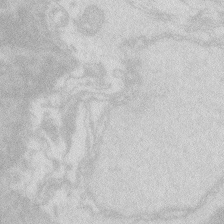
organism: Zebrafish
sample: Macrophage